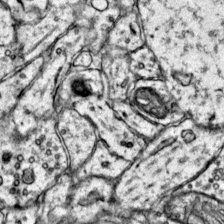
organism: Mouse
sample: Primary visual cortex